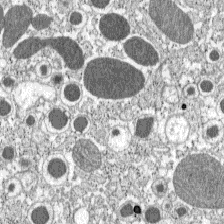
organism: C57BL Mouse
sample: Pancreatic islet